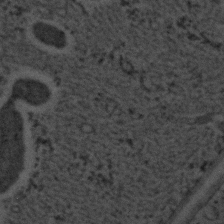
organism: C. elegans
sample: C. elegans embryo